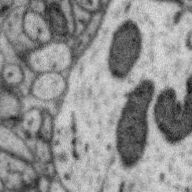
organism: Zebra finch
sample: Brain